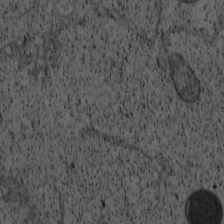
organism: African green monkey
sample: COS-7 cells